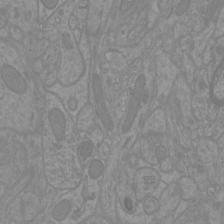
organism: Mouse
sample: Cortical neurons